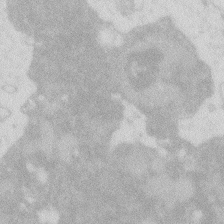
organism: Zebrafish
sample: Macrophage